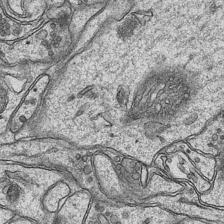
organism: Mouse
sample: CA1 Hippocampus